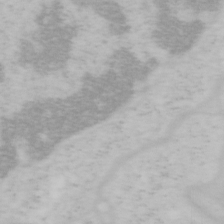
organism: Mouse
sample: OT-I killer T cells with ID8 ovarian cancer cells